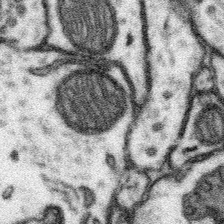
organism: Mouse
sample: Somatosensory cortex neuropil